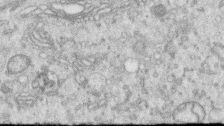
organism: Human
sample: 1205lu cells